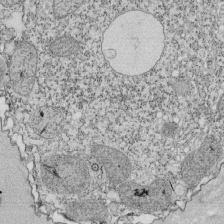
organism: Tetrahymena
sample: Cilia in tetrahymena